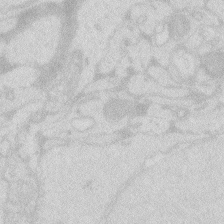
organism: Zebrafish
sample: Macrophage